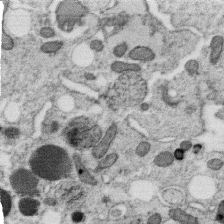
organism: C. elegans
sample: C. elegans oocyte; sperm cells